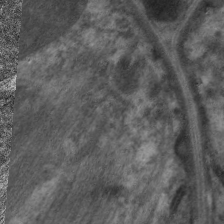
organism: C. elegans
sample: Pharynx